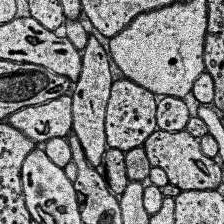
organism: Human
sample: Temporal Lobe